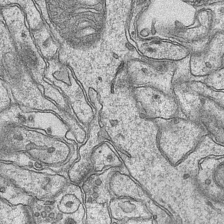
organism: Mouse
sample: CA1 Hippocampus